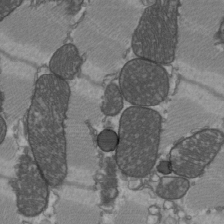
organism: C57BL Mouse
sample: Heart